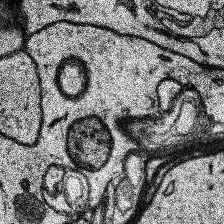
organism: Human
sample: Temporal Lobe